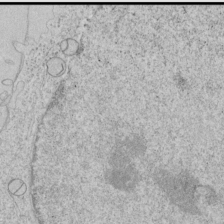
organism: Human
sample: Mitochondria in HCT116 cells